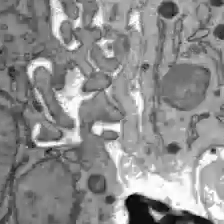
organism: C57BL Mouse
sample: Liver